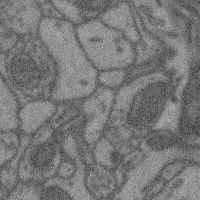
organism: Mouse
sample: Cerebral cortex